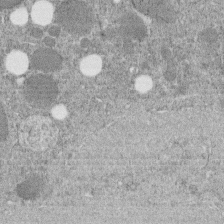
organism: C. elegans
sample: C. elegans embryo early stage